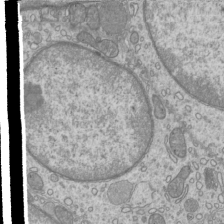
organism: Mouse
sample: Cilia; mouse epididymis